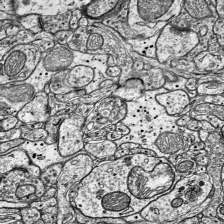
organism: Mouse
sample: Visual Cortex